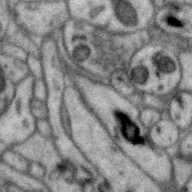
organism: Zebra finch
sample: Brain